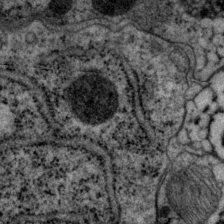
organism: P. pacificus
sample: Pharynx